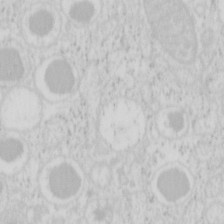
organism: Mouse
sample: Pancreas